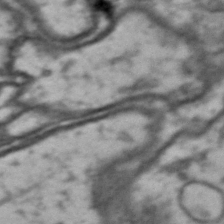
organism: Drosophila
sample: Brain